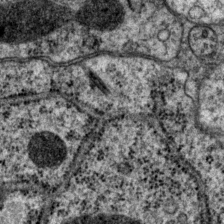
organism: P. pacificus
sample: Pharynx